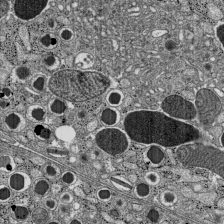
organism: C57BL Mouse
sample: Pancreatic islet